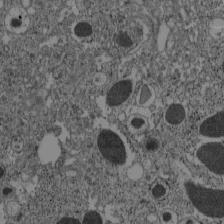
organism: C57BL Mouse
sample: Pancreatic islet